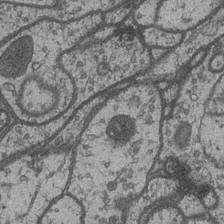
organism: Drosophila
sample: Optic medulla